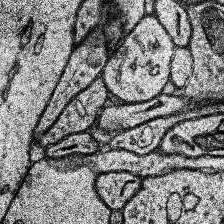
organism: Human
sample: Temporal Lobe